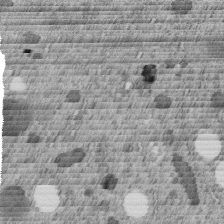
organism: C. elegans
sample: C. elegans embryo early stage